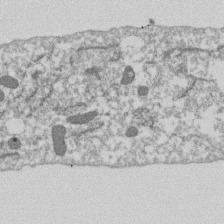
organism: Dictyostelium discoideum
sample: Dictyostelium multivesicular bodies